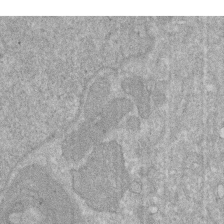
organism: Human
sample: HIV infected U937 cells